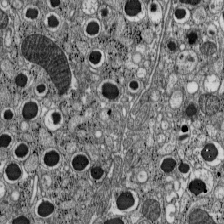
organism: C57BL Mouse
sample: Pancreatic islet